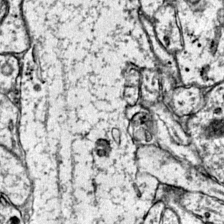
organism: Mouse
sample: Primary visual cortex